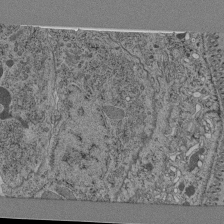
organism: C. elegans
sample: C. elegans pharynx